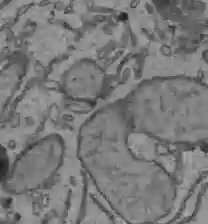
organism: C57BL Mouse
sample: Liver